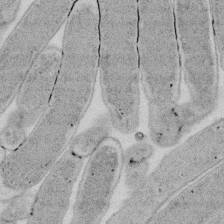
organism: E. coli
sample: Bacterial nucleoid